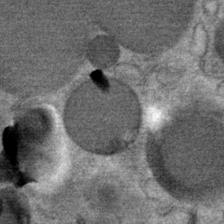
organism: Mouse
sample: Mouse Salivary gland